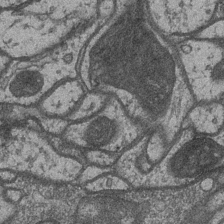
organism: Drosophila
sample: Optic medulla